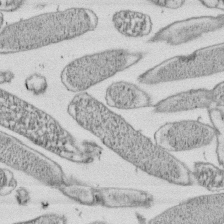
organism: E. coli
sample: Bacterial nucleoid